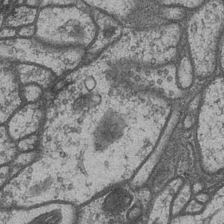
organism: Drosophila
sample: Optic medulla